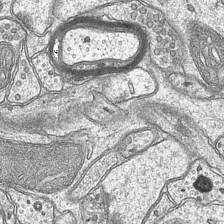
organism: Mouse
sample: CA1 Hippocampus